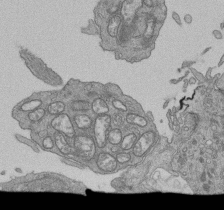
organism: Human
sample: Retinal organoid Rod and Cone cells